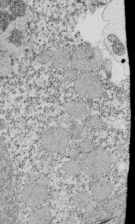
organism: Tetrahymena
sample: Cilia in tetrahymena